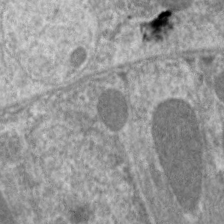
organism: C. elegans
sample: Pharynx